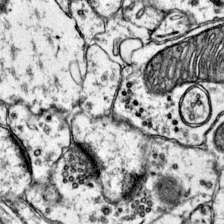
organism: Mouse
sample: Primary visual cortex